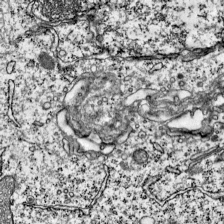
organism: Mouse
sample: Visual Cortex